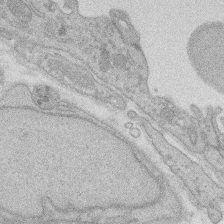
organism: Rat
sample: Salivary granule